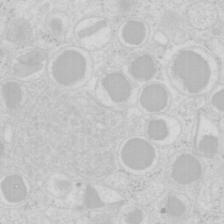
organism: Mouse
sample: Pancreas